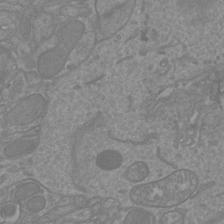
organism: Mouse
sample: Cortical neurons